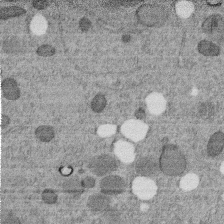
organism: C. elegans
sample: C. elegans embryo early stage